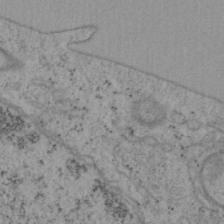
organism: Human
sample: HeLa cells